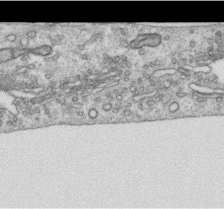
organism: Human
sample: Centriole in RPE cells